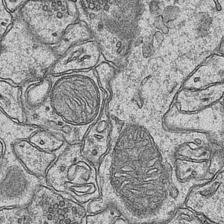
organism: Mouse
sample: CA1 Hippocampus